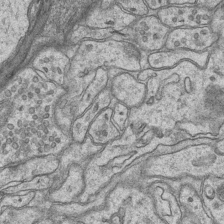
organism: Mouse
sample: CA1 Hippocampus